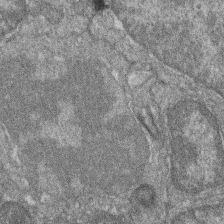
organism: Zebrafish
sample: Cilia; retinal pigment epithelium